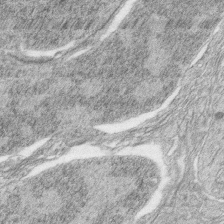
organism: Zebrafish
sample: synaptic ribbons in rod cells and cone cells